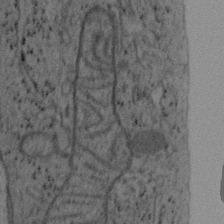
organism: Human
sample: HeLa cells